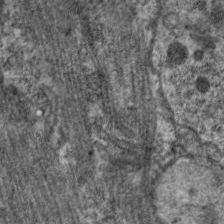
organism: C. elegans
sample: Pharynx